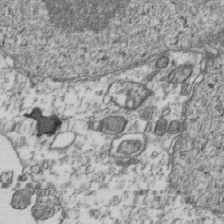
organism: Human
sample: Activated Jurkat CD4+ T cells